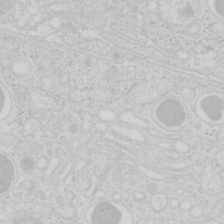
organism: Mouse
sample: Pancreas